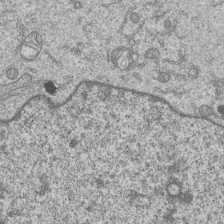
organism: Human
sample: MDA-MB-231 cells